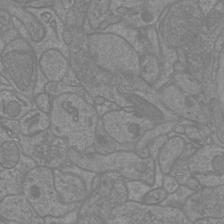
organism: Mouse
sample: Cortical neurons